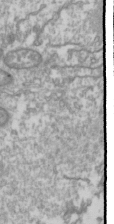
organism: Drosophila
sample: Cell division; meiosis; drosophila spermatocytes